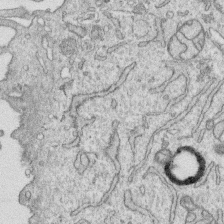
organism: Human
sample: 1205lu cells